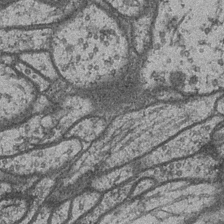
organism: Drosophila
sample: Optic medulla